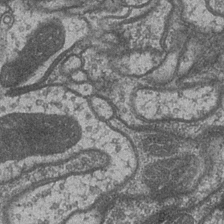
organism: Drosophila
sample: Optic medulla